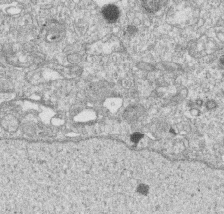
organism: Human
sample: HeLa cell HIV synapse